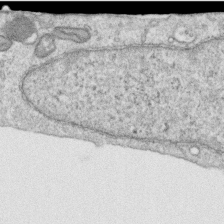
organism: Human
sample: Centriole in RPE cells